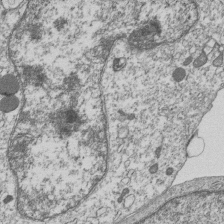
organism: Human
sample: MDA-MB-231 cells